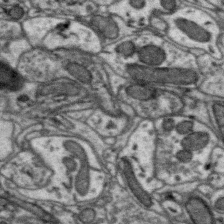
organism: Zebra finch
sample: Brain